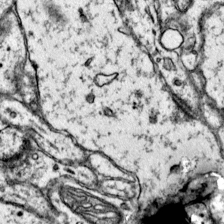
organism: Mouse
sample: Primary visual cortex